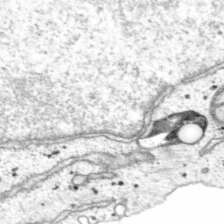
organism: Human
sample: HeLa cells